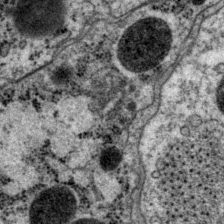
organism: P. pacificus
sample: Pharynx